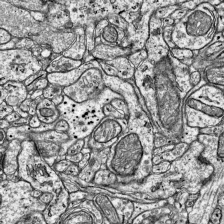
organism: Mouse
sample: Visual Cortex